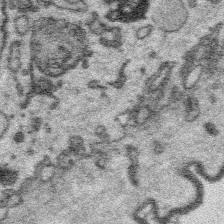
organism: Platynereis dumerilii